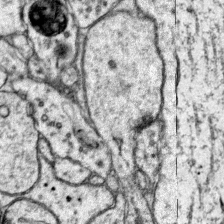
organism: Mouse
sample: Primary visual cortex